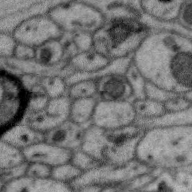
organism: Zebra finch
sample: Brain